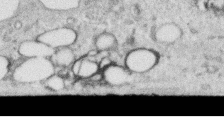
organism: Human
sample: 1205lu cells